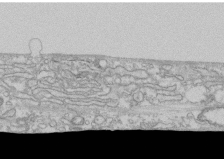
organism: Human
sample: CRL-1474